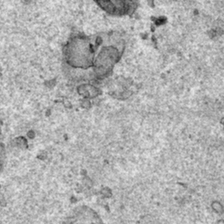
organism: Human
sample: Mitochondria in HCT116 cells